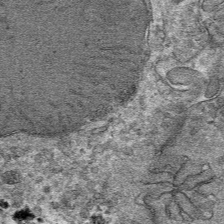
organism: Mouse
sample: Mouse hepatocytes